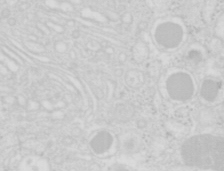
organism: Mouse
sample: Pancreas